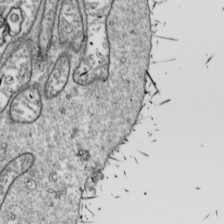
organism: Drosophila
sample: Cell division; meiosis; drosophila spermatocytes